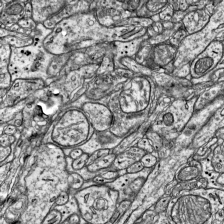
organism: Mouse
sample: Visual Cortex